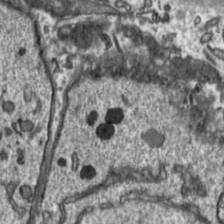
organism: Toxoplasma gondii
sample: Parasites in a vacuole inside a host cell